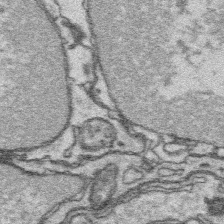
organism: Platynereis dumerilii